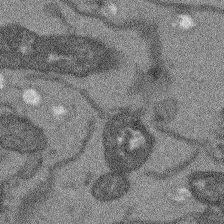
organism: Arabidopsis thaliana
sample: Root tip